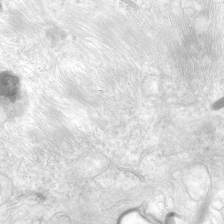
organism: Human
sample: Neocortex